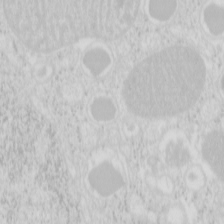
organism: Mouse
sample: Pancreas